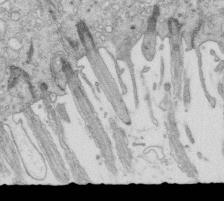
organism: Mouse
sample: Multiciliated cells